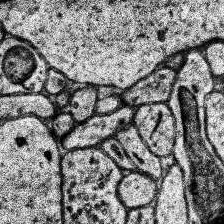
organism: Human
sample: Temporal Lobe